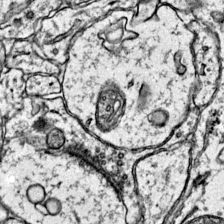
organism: Mouse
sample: Primary visual cortex